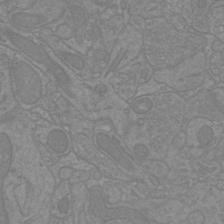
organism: Mouse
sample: Cortical neurons